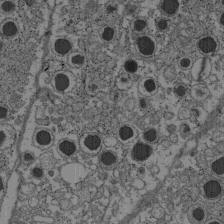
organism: C57BL Mouse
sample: Pancreatic islet